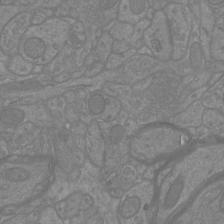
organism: Mouse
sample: Cortical neurons